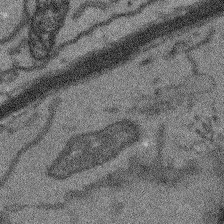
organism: Arabidopsis thaliana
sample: Root tip